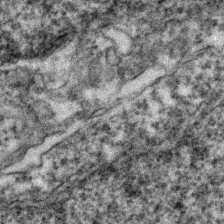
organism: Zebrafish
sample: Zebrafish embryo